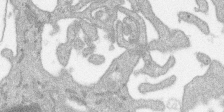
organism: Human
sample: Lung epithelial cells infected with SARS-CoV-2